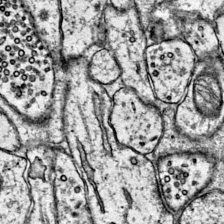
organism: Mouse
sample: Primary visual cortex